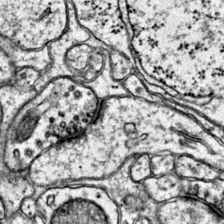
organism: Mouse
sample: Primary visual cortex